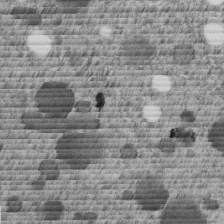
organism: C. elegans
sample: C. elegans embryo early stage